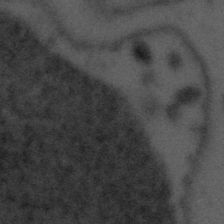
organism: Tuwongella immobilis